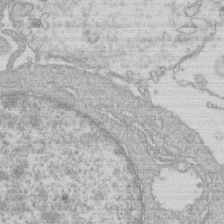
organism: Human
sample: Macrophage cells